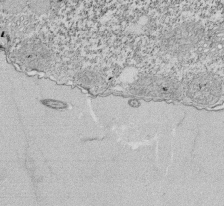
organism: Tetrahymena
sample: Cilia in tetrahymena